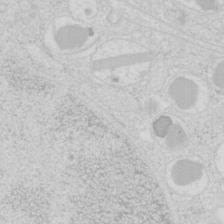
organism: Mouse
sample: Pancreas